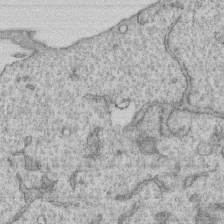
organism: Human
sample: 1205lu cells